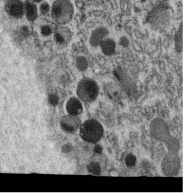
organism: C. elegans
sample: C. elegans oocyte; sperm cells